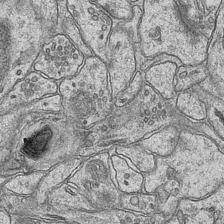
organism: Mouse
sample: CA1 Hippocampus